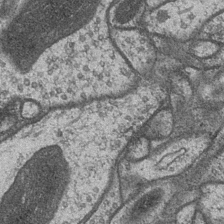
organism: Drosophila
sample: Optic medulla